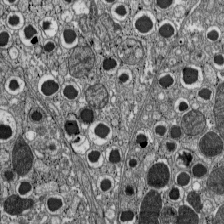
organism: C57BL Mouse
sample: Pancreatic islet